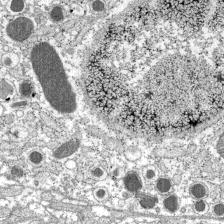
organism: C57BL Mouse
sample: Pancreatic islet